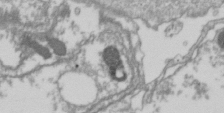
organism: Drosophila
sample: Cell division; meiosis; drosophila spermatocytes